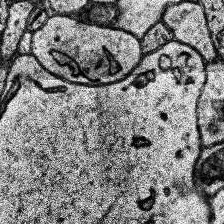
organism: Human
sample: Temporal Lobe